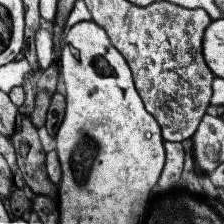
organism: Human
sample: Temporal Lobe